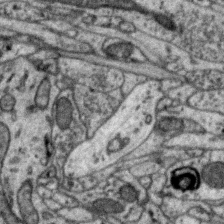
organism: Zebra finch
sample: Brain